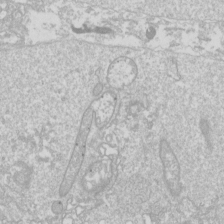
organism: Drosophila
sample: Cell division; meiosis; drosophila spermatocytes